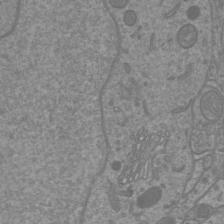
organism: Mouse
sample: Cortical neurons